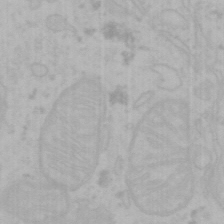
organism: Mouse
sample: Choroid plexus